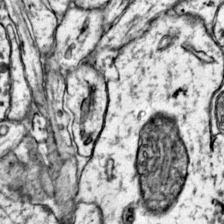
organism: Mouse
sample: Primary visual cortex